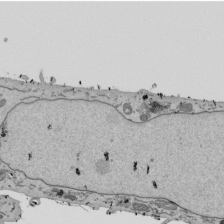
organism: Mouse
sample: ED-1 cell nuclei; centrioles